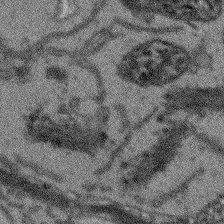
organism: Arabidopsis thaliana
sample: Root tip